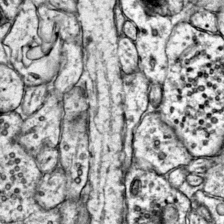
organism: Mouse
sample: Primary visual cortex